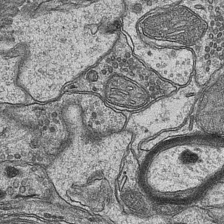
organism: Mouse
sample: CA1 Hippocampus